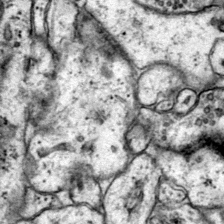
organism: Mouse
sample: Primary visual cortex